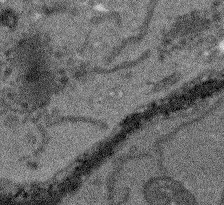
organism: Arabidopsis thaliana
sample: Root tip